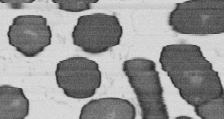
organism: B. subtilis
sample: Bacterial spore